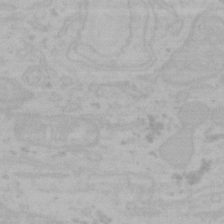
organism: Mouse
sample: Choroid plexus